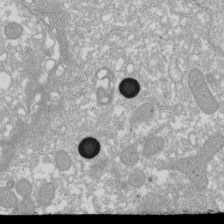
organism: Xenopus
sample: Cilia; centrioles in frog embryo cells